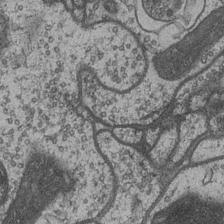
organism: Drosophila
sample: Optic medulla